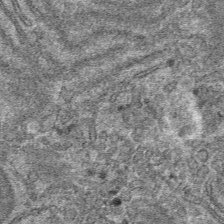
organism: Mouse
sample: Mouse hepatocytes